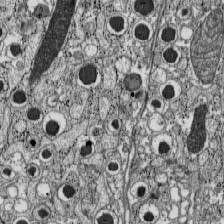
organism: C57BL Mouse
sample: Pancreatic islet